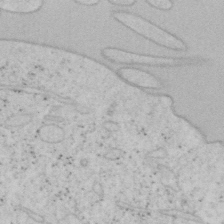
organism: Human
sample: HeLa cells